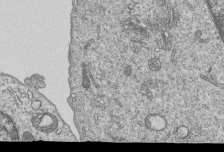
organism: Human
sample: MDA-MB-231 cells